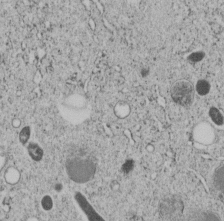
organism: C. elegans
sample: C. elegans embryo early stage